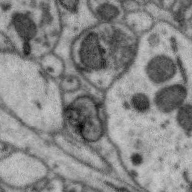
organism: Zebra finch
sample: Brain